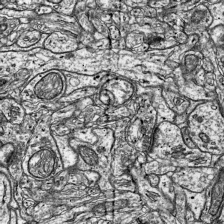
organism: Mouse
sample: Visual Cortex